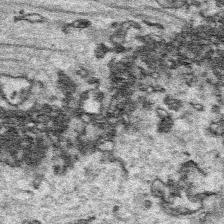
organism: Platynereis dumerilii